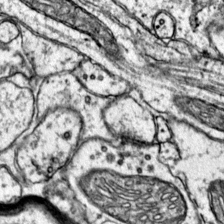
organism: Mouse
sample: Primary visual cortex